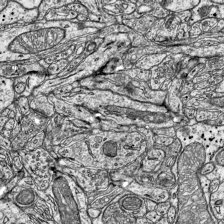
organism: Mouse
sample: Visual Cortex